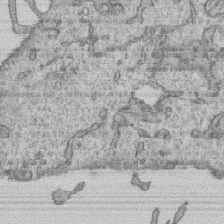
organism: Human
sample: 1205lu cells